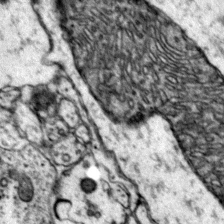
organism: Mouse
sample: Primary visual cortex